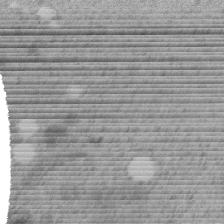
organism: C. elegans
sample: C. elegans embryo early stage